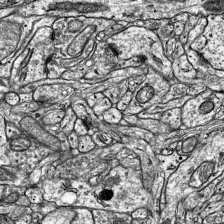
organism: Mouse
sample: Visual Cortex